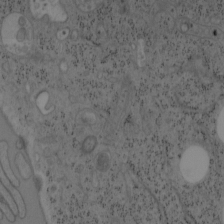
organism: Mouse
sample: OT-I killer T cells with ID8 ovarian cancer cells